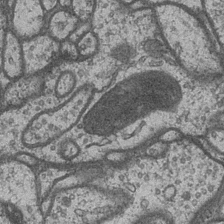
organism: Drosophila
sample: Optic medulla